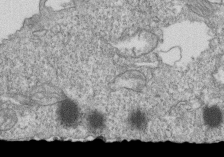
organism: Human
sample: HeLa cell HIV synapse